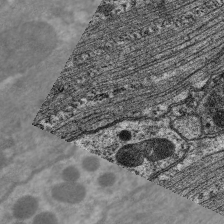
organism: C. elegans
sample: Pharynx